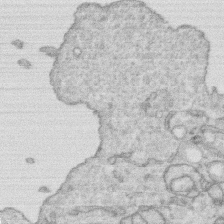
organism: Human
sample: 1205lu cells